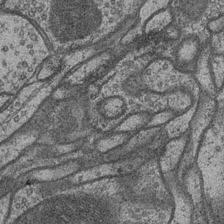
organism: Drosophila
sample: Optic medulla